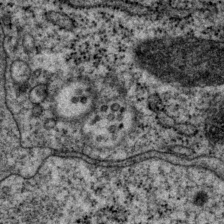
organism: P. pacificus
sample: Pharynx